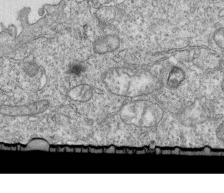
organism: Human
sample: HeLa cell HIV synapse